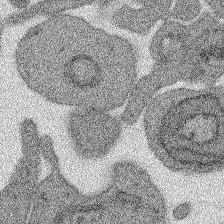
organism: Human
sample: HeLa cells